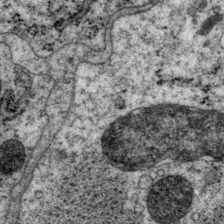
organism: P. pacificus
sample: Pharynx